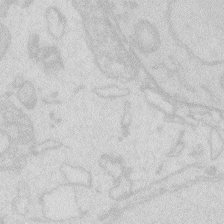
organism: Zebrafish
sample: Macrophage